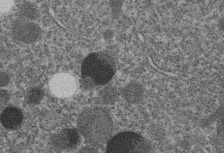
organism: C. elegans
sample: C. elegans embryo early stage